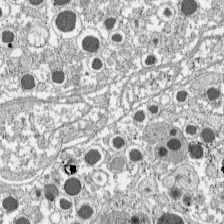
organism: C57BL Mouse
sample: Pancreatic islet